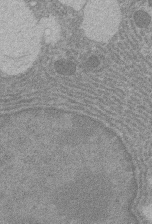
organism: Rat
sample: Salivary granule